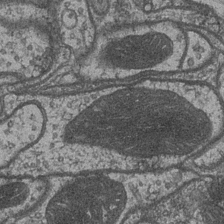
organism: Drosophila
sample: Optic medulla